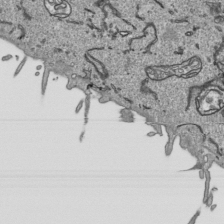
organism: Human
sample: Mitochondria in HCT116 cells